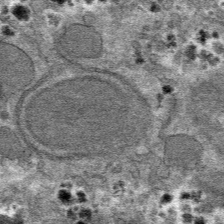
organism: Mouse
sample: Mouse hepatocytes